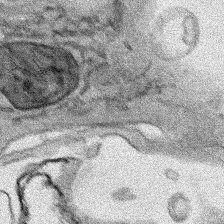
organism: Human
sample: Mitochondria in HCT116 cells